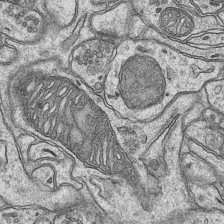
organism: Mouse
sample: CA1 Hippocampus